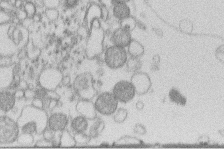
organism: Human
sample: Macrophage cells